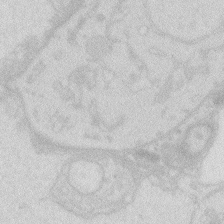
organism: Zebrafish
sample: Macrophage